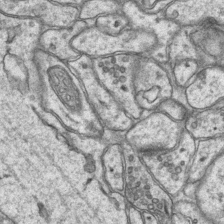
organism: Mouse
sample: CA1 Hippocampus